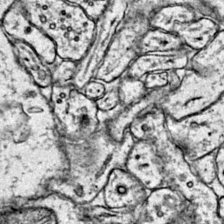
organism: Mouse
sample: Primary visual cortex